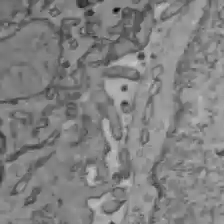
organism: C57BL Mouse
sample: Liver